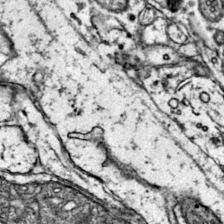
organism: Mouse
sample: Primary visual cortex